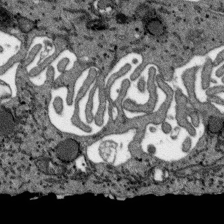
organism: Human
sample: Lung epithelial cells, uninfected (mock) control